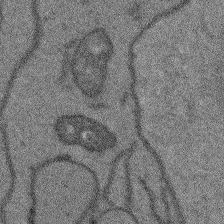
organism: Arabidopsis thaliana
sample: Root tip